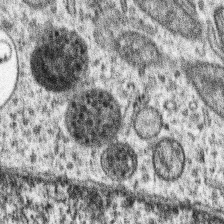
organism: Human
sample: HeLa cells